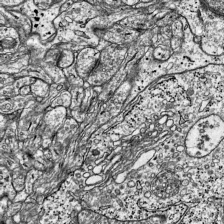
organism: Mouse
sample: Visual Cortex